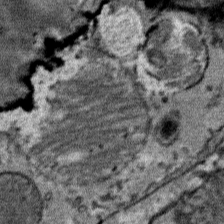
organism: Mouse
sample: Mouse Salivary gland